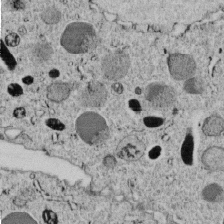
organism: C. elegans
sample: C. elegans embryo early stage